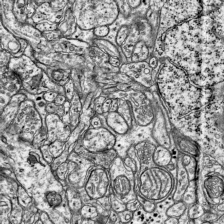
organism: Mouse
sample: Visual Cortex